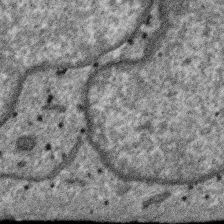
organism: Human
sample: Lung epithelial cells infected with SARS-CoV-2